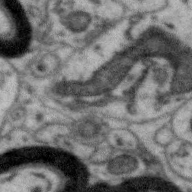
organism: Zebra finch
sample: Brain